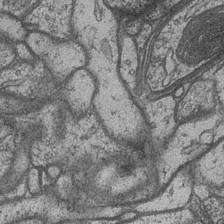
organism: Drosophila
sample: Optic medulla